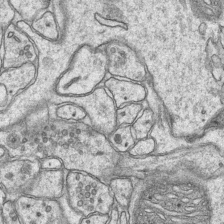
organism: Mouse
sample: CA1 Hippocampus